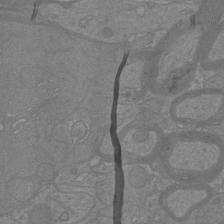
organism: Mouse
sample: Cortical neurons